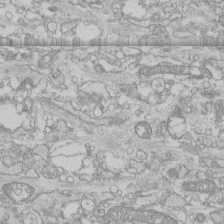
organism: Human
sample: CRL-1474